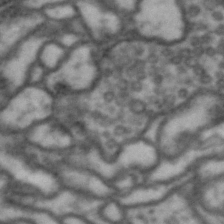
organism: Drosophila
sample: Brain